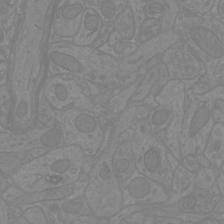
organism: Mouse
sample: Cortical neurons